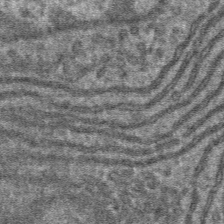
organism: Mouse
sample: Mouse hepatocytes